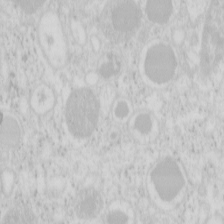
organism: Mouse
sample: Pancreas